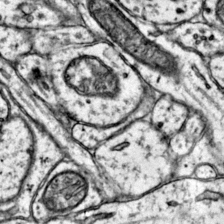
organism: Mouse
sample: Primary visual cortex